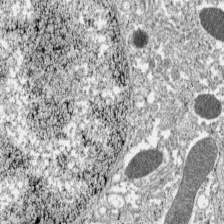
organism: C57BL Mouse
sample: Pancreatic islet